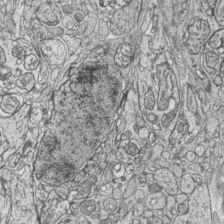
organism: Zebrafish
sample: synaptic ribbons in rod cells and cone cells